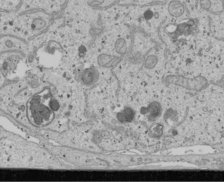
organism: Human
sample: Mitochondria in U2OS cells